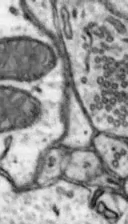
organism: Mouse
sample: Nucleus accumbens